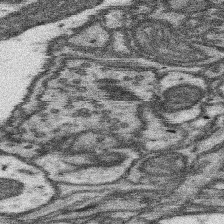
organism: Mouse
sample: Somatosensory cortex neuropil